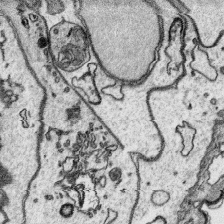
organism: Platynereis dumerilii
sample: Parapodia